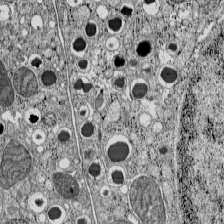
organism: C57BL Mouse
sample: Pancreatic islet